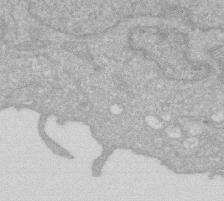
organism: Human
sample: HIV infected U937 cells